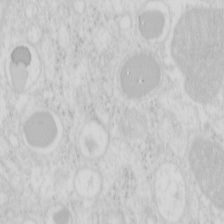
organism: Mouse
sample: Pancreas